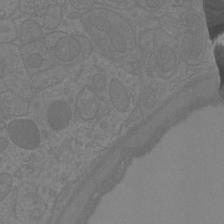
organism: Mouse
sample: Cortical neurons